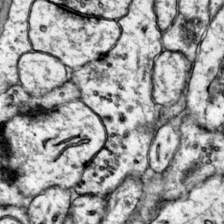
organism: Mouse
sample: Primary visual cortex